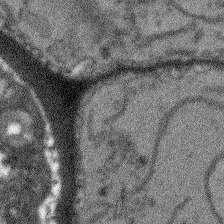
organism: Arabidopsis thaliana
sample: Root tip